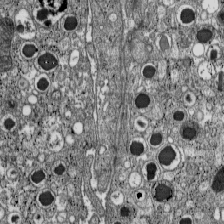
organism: C57BL Mouse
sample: Pancreatic islet